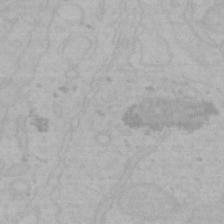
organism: Mouse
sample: Choroid plexus